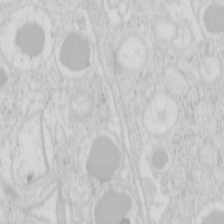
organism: Mouse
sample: Pancreas